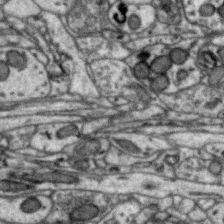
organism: Zebra finch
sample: Brain